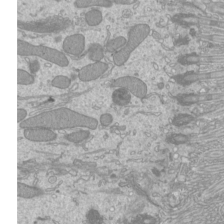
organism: Mouse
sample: Cilia; mouse epididymis